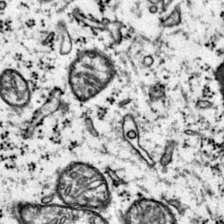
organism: Mouse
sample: Primary visual cortex